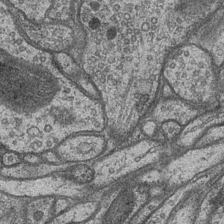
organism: Drosophila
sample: Optic medulla